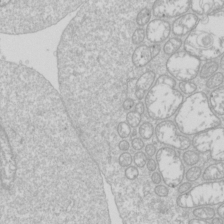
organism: Drosophila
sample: Cell division; meiosis; drosophila spermatocytes